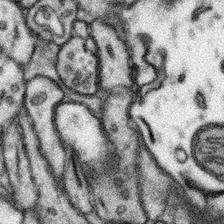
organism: Mouse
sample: Somatosensory cortex neuropil